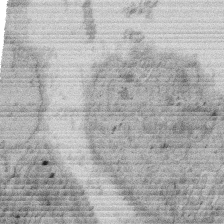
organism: Rat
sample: Salivary granule